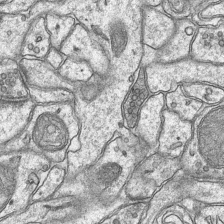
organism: Mouse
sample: CA1 Hippocampus